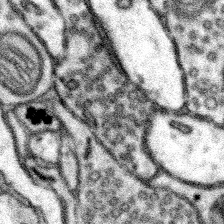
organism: Mouse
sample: Somatosensory cortex neuropil